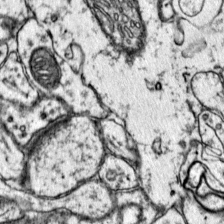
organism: Mouse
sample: Primary visual cortex